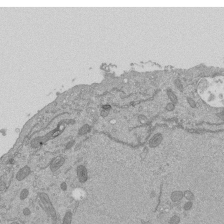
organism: Mouse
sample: ED-1 cell nuclei; centrioles